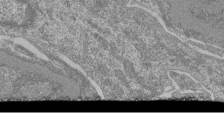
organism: Mouse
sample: Glomerulus